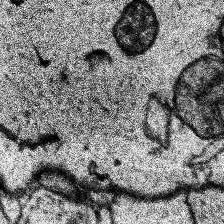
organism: Human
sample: Temporal Lobe